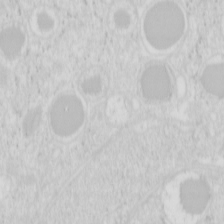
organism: Mouse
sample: Pancreas